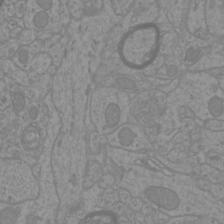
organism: Mouse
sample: Cortical neurons